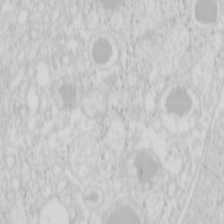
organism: Mouse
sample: Pancreas